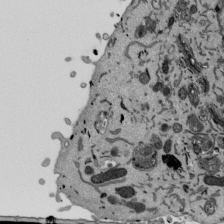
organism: Mouse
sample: ED-1 cell nuclei; centrioles